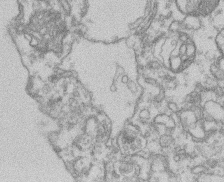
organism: Mouse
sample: T cell stromal cell synapse